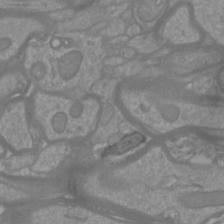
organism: Mouse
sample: Cortical neurons